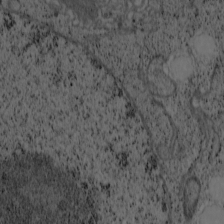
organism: African green monkey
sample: COS-7 cells